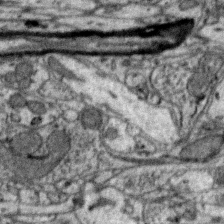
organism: Zebra finch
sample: Brain